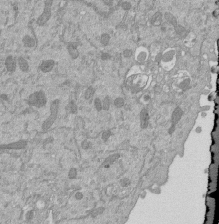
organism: Mouse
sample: ED-1 cell nuclei; centrioles